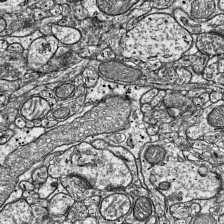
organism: Mouse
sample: Visual Cortex